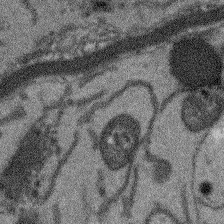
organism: Arabidopsis thaliana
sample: Root tip